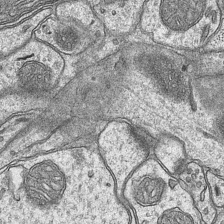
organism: Mouse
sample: CA1 Hippocampus